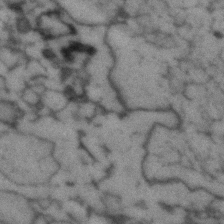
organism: Human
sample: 1205lu cells